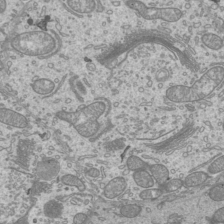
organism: Mouse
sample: Cilia; mouse epididymis